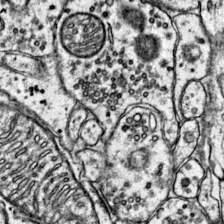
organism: Mouse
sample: Primary visual cortex